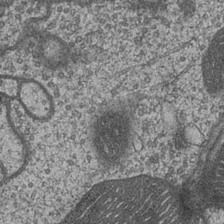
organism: Drosophila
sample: Optic medulla